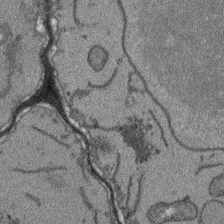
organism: Arabidopsis thaliana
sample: Root tip